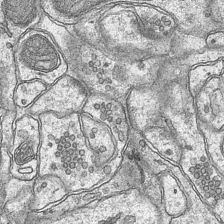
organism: Mouse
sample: CA1 Hippocampus